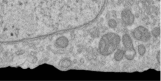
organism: Human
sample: Centriole in RPE cells